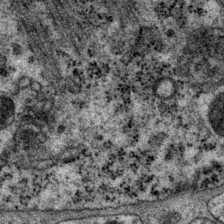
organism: P. pacificus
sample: Pharynx